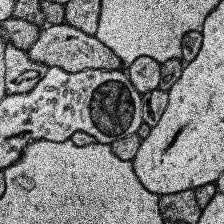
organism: Human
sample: Temporal Lobe